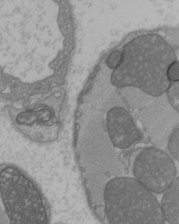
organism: C57BL Mouse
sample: Heart